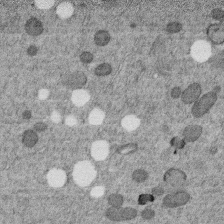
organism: C. elegans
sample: C. elegans embryo early stage